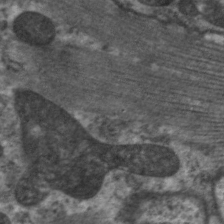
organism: C. elegans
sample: Pharynx